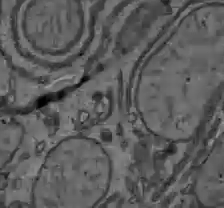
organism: C57BL Mouse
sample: Liver